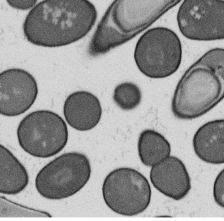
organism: B. subtilis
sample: Bacterial spore